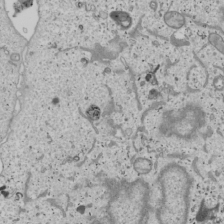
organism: Human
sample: Mitochondria in U2OS cells